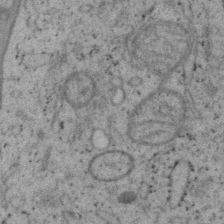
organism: Human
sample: HeLa cells